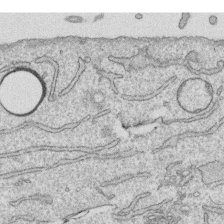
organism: Human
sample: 1205lu cells